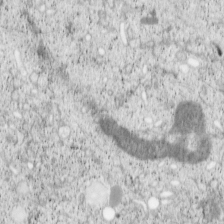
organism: African green monkey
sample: COS-7 cells